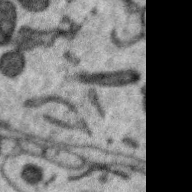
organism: Zebra finch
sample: Brain